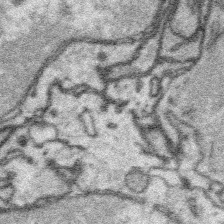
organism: Platynereis dumerilii